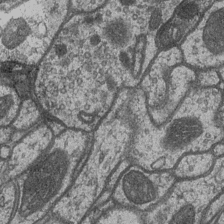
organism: Drosophila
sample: Optic medulla